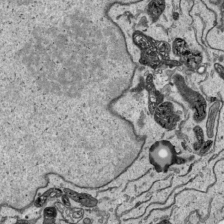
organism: Human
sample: Mitochondria in HCT116 cells